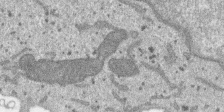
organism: Human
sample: Lung epithelial cells infected with SARS-CoV-2